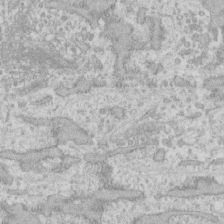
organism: Human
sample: Fibroblast cells